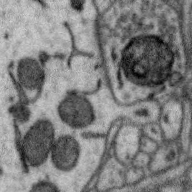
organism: Zebra finch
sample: Brain